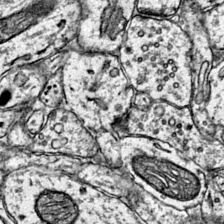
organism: Mouse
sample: Primary visual cortex